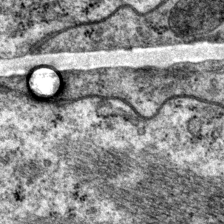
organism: P. pacificus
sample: Pharynx